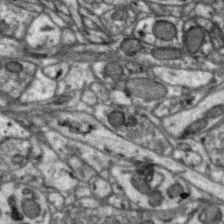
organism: Zebra finch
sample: Brain